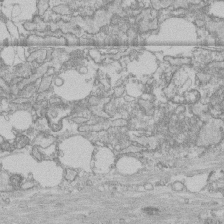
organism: Human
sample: CRL-1474